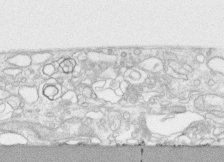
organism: Human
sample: CRL-1474